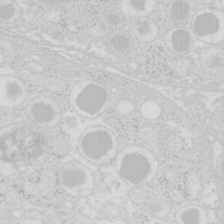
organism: Mouse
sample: Pancreas